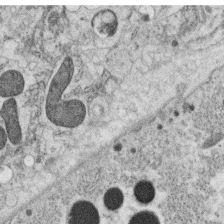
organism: C. elegans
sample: C. elegans oocyte; sperm cells